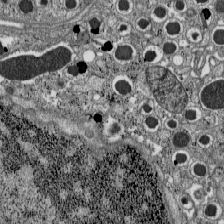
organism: C57BL Mouse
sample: Pancreatic islet